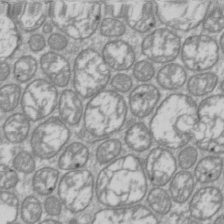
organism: Drosophila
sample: Cell division; meiosis; drosophila spermatocytes